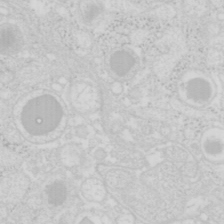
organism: Mouse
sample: Pancreas